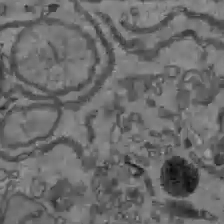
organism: C57BL Mouse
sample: Liver